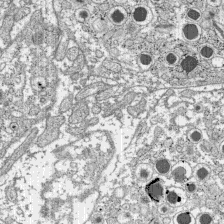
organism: C57BL Mouse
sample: Pancreatic islet